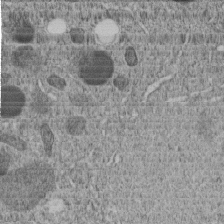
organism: C. elegans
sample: C. elegans embryo early stage